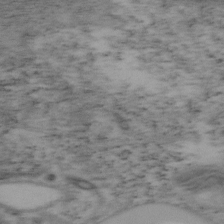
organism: Mouse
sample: OT-I killer T cells with ID8 ovarian cancer cells